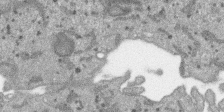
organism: Human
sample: Lung epithelial cells infected with SARS-CoV-2